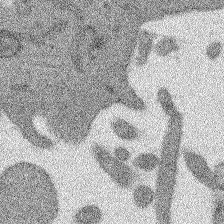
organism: Human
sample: HeLa cells